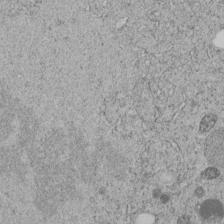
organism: C. elegans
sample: C. elegans embryo early stage